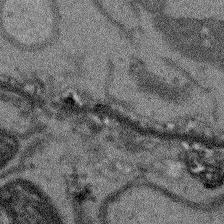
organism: Arabidopsis thaliana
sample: Root tip